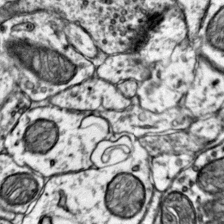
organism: Mouse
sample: Primary visual cortex